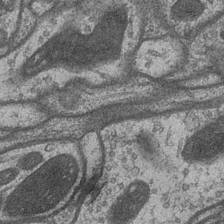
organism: Drosophila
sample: Optic medulla